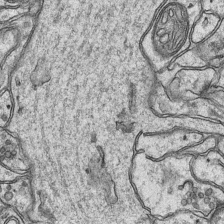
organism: Mouse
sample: CA1 Hippocampus